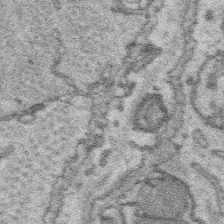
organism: Platynereis dumerilii